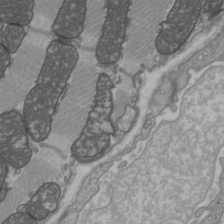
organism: C57BL Mouse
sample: Heart